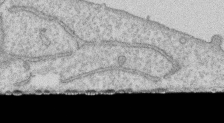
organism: Human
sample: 1205lu cells